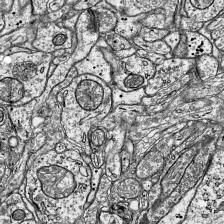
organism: Mouse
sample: Visual Cortex